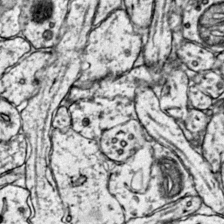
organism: Mouse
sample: Primary visual cortex